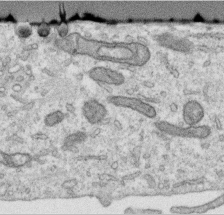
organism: Human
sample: Centriole in RPE cells